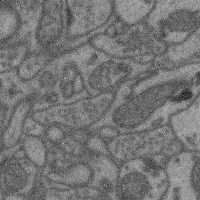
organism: Mouse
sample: Cerebral cortex